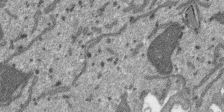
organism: Human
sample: Lung epithelial cells infected with SARS-CoV-2